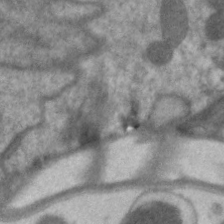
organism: C. elegans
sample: Pharynx